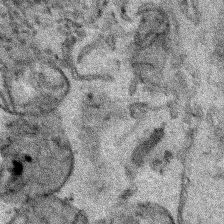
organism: Human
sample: Mitochondria in HCT116 cells